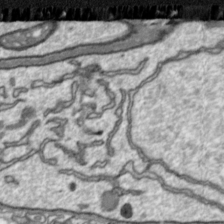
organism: Toxoplasma gondii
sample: Parasites in a vacuole inside a host cell